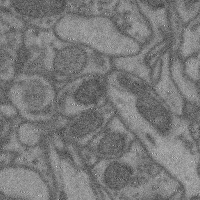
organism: Mouse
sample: Cerebral cortex